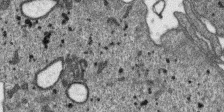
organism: Human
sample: Lung epithelial cells infected with SARS-CoV-2